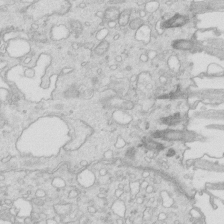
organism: Mouse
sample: Multiciliated cells